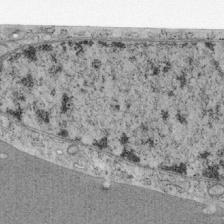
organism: Human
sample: HeLa cells